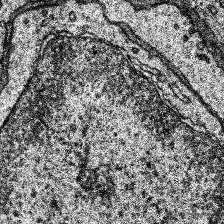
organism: Human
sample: Temporal Lobe